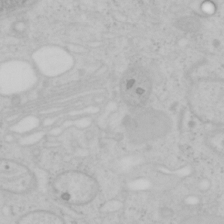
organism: Mouse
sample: OT-I killer T cells with ID8 ovarian cancer cells